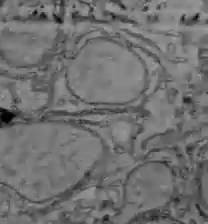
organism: C57BL Mouse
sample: Liver